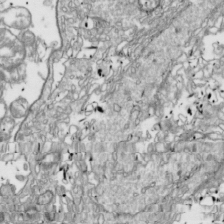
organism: Drosophila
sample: Cell division; meiosis; drosophila spermatocytes